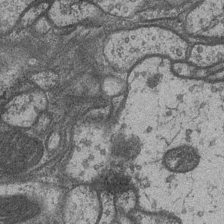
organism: Drosophila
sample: Optic medulla